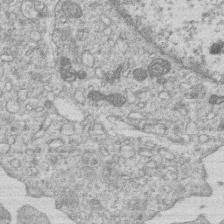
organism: Human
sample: Macrophage cells